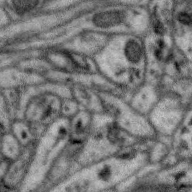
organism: Zebra finch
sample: Brain